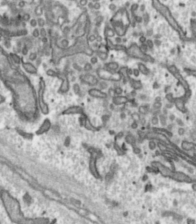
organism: Toxoplasma gondii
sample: Parasites in a vacuole inside a host cell